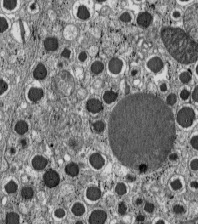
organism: C57BL Mouse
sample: Pancreatic islet